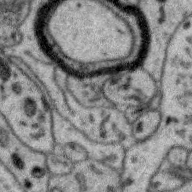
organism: Zebra finch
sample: Brain